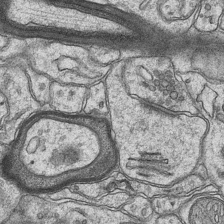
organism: Mouse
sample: CA1 Hippocampus